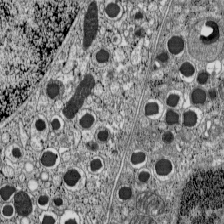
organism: C57BL Mouse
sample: Pancreatic islet